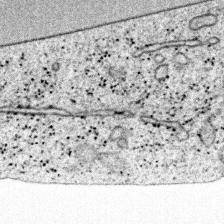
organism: Human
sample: HeLa cells